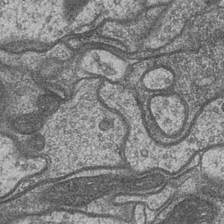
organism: Drosophila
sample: Optic medulla